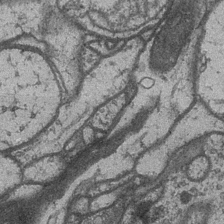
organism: Drosophila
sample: Optic medulla